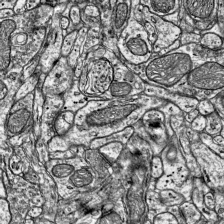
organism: Mouse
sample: Visual Cortex